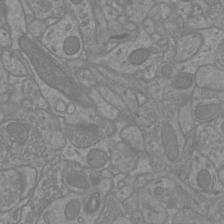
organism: Mouse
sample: Cortical neurons